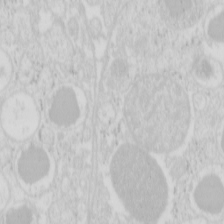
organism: Mouse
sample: Pancreas